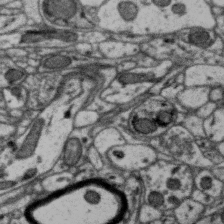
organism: Zebra finch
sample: Brain